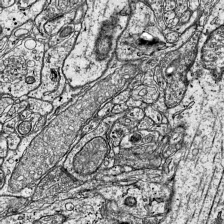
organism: Mouse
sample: Visual Cortex